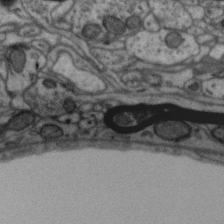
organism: Zebra finch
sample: Brain